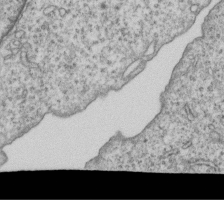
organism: Human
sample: MDA-MB-231 cells